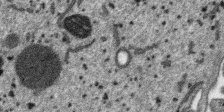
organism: Human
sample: Lung epithelial cells infected with SARS-CoV-2